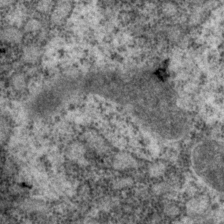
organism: P. pacificus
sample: Pharynx